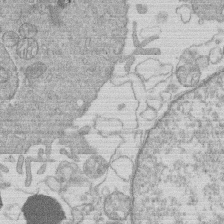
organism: Human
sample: Macrophage cells